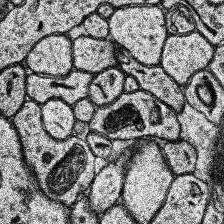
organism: Human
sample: Temporal Lobe